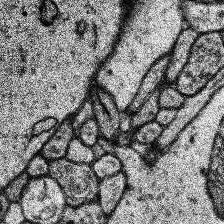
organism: Human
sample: Temporal Lobe